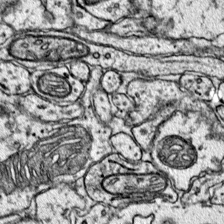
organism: Mouse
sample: Primary visual cortex